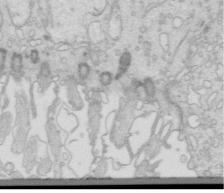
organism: Mouse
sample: Multiciliated cells